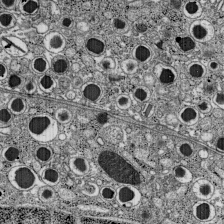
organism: C57BL Mouse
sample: Pancreatic islet